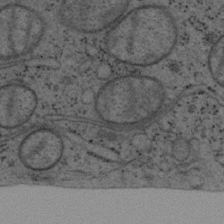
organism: Human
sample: HeLa cells